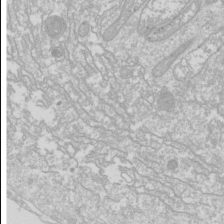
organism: Drosophila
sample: Cell division; meiosis; drosophila spermatocytes